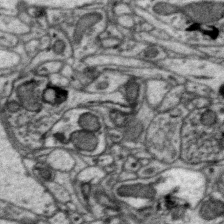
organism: Zebra finch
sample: Brain